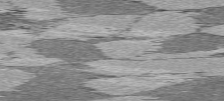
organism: C57BL Mouse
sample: Heart